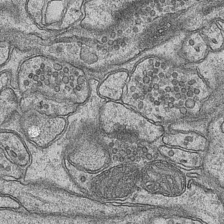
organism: Mouse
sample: CA1 Hippocampus